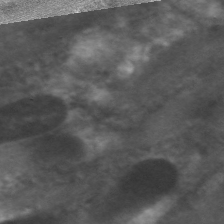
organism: C. elegans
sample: Pharynx